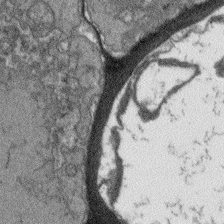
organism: Arabidopsis thaliana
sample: Root tip